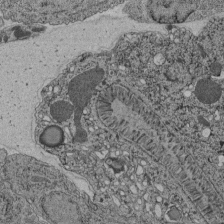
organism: C. elegans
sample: C. elegans pharynx